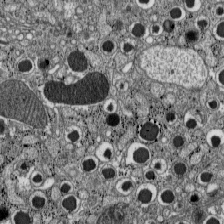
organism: C57BL Mouse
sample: Pancreatic islet